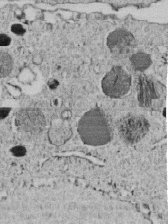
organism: C. elegans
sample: C. elegans embryo early stage